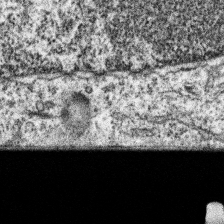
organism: Human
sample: HeLa cells